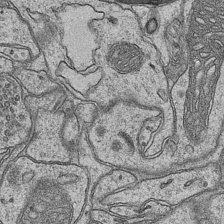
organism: Mouse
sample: CA1 Hippocampus